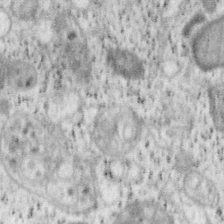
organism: Mouse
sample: OT-I killer T cells with ID8 ovarian cancer cells